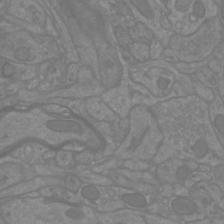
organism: Mouse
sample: Cortical neurons